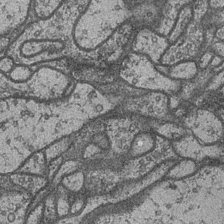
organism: Drosophila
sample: Optic medulla